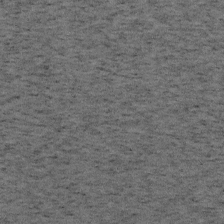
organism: Mouse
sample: OT-I killer T cells with ID8 ovarian cancer cells